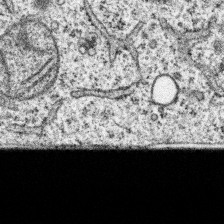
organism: Human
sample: HeLa cells